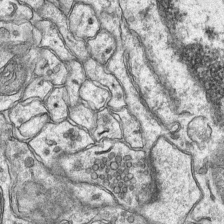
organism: Mouse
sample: CA1 Hippocampus